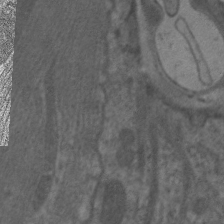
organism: C. elegans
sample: Pharynx